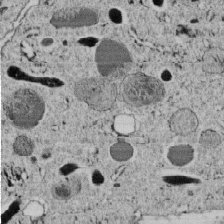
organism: C. elegans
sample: C. elegans embryo early stage